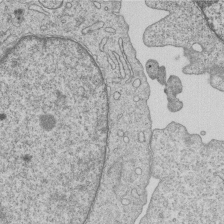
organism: Human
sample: MDA-MB-231 cells